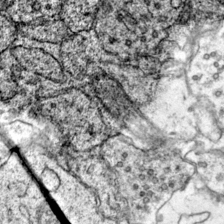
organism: Mouse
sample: Primary visual cortex